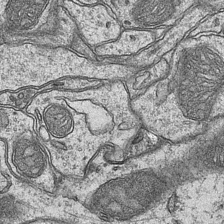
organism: Mouse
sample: CA1 Hippocampus